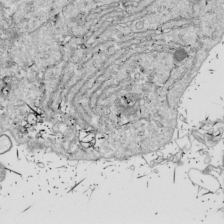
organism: Drosophila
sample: Cell division; meiosis; drosophila spermatocytes